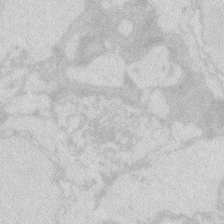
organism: Zebrafish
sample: Macrophage